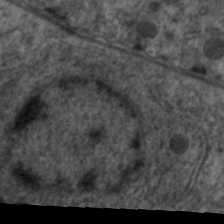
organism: C. elegans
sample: Pharynx